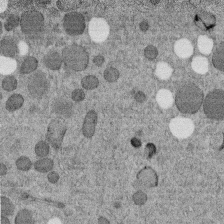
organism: C. elegans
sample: C. elegans embryo early stage